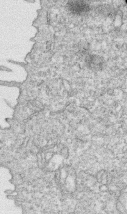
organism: Human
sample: HeLa cell HIV synapse